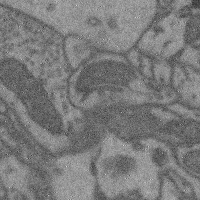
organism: Mouse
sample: Cerebral cortex